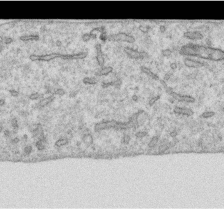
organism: Human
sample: Centriole in RPE cells